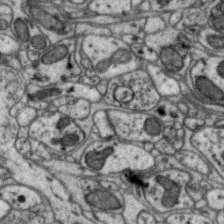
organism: Zebra finch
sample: Brain